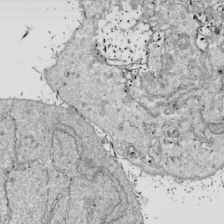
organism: Drosophila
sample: Cell division; meiosis; drosophila spermatocytes